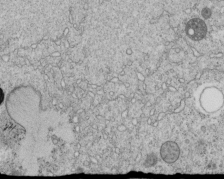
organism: C. elegans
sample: C. elegans embryo early stage